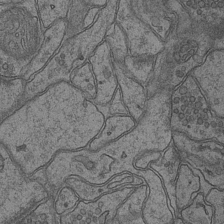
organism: Mouse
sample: CA1 Hippocampus